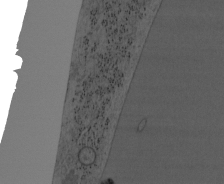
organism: Mouse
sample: OT-I killer T cells with ID8 ovarian cancer cells